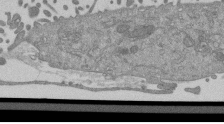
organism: Mouse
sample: ED-1 cell nuclei; centrioles